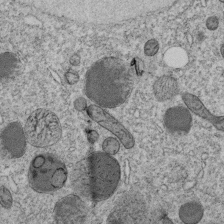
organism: C. elegans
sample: C. elegans embryo early stage